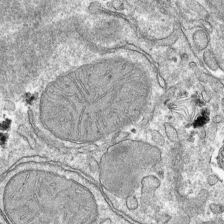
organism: Mouse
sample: Mouse hepatocytes